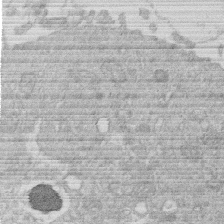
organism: Human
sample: Macrophage cells